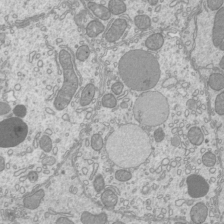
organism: Mouse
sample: Cilia; mouse epididymis